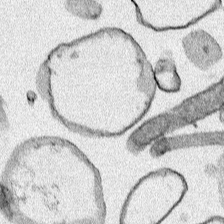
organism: Human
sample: Mitochondria in HCT116 cells